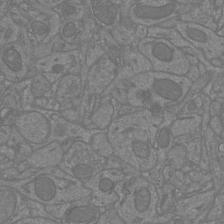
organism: Mouse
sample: Cortical neurons